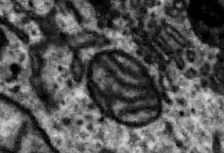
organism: Human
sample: HeLa cells